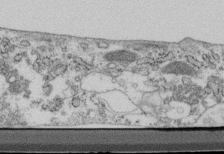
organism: Mouse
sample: Cilia; retinal pigment epithelium